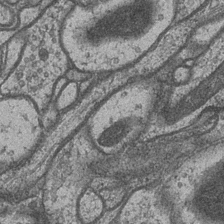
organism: Drosophila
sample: Optic medulla